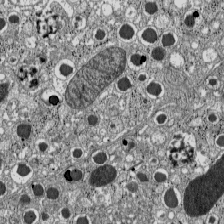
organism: C57BL Mouse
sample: Pancreatic islet